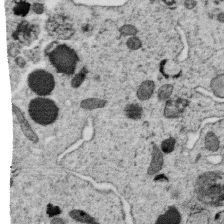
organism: C. elegans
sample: C. elegans oocyte; sperm cells